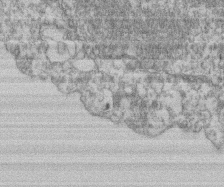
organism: Mouse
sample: T cell stromal cell synapse